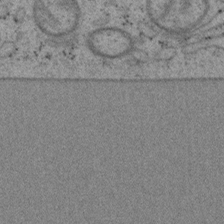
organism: Human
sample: HeLa cells